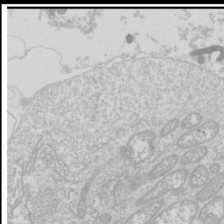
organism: Drosophila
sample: Cell division; meiosis; drosophila spermatocytes